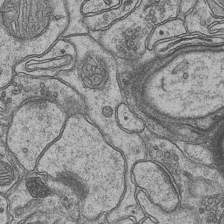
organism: Mouse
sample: CA1 Hippocampus